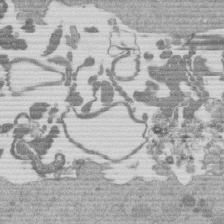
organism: Mouse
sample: Dividing mouse embryo 1 cell stage